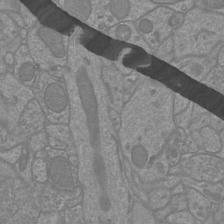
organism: Mouse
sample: Cortical neurons